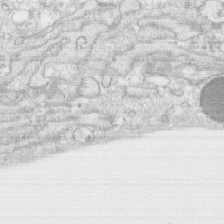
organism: Human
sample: CRL-1474